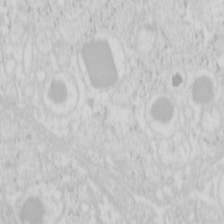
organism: Mouse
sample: Pancreas